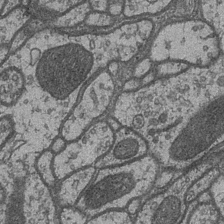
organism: Drosophila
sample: Optic medulla